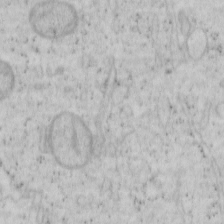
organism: Human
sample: HeLa cells